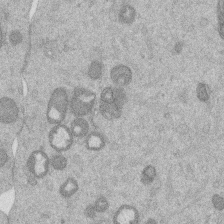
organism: Mouse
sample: Dividing mouse embryo 1 cell stage